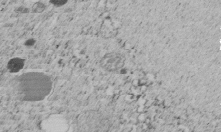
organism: C. elegans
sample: C. elegans embryo early stage